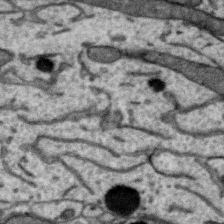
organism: Zebra finch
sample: Brain